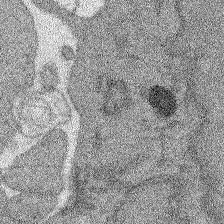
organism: Human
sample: HeLa cells